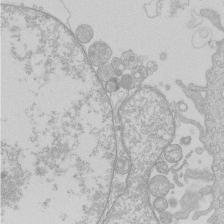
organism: Human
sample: Macrophage cells